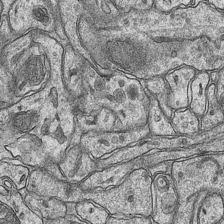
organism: Mouse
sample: CA1 Hippocampus